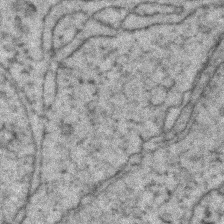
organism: Zebrafish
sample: Zebrafish embryo